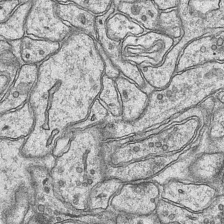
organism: Mouse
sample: CA1 Hippocampus